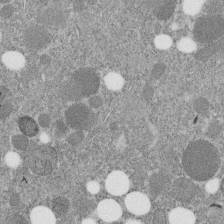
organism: C. elegans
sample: C. elegans embryo early stage